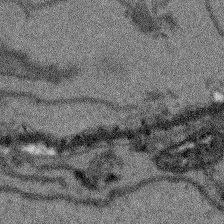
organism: Arabidopsis thaliana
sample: Root tip